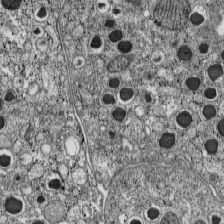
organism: C57BL Mouse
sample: Pancreatic islet